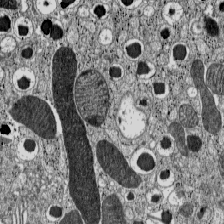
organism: C57BL Mouse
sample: Pancreatic islet